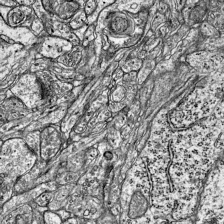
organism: Mouse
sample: Visual Cortex